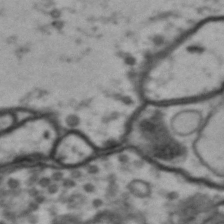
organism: Drosophila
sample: Brain